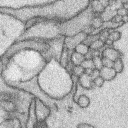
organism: Rabbit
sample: Retina